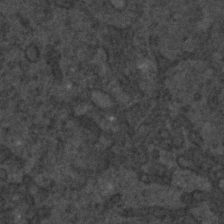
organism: C. elegans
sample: C. elegans embryo